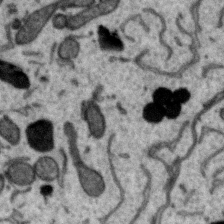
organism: Zebra finch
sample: Brain